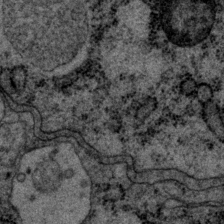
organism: P. pacificus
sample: Pharynx